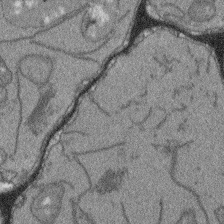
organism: Arabidopsis thaliana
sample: Root tip